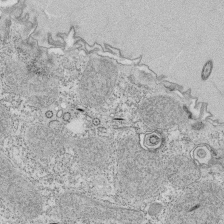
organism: Tetrahymena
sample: Cilia in tetrahymena